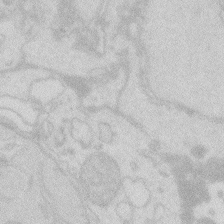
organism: Zebrafish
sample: Macrophage